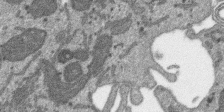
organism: Human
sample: Lung epithelial cells infected with SARS-CoV-2